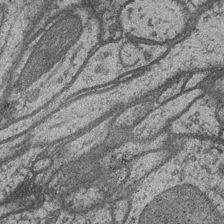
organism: Drosophila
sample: Optic medulla